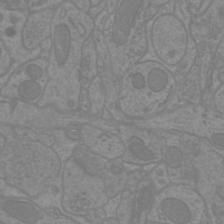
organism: Mouse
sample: Cortical neurons